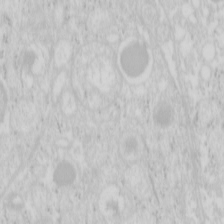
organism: Mouse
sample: Pancreas